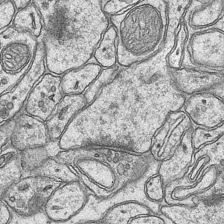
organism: Mouse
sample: CA1 Hippocampus